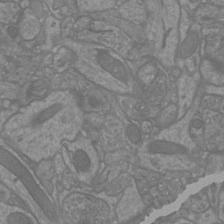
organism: Mouse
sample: Cortical neurons